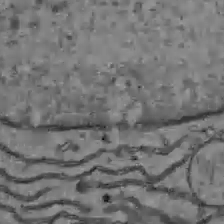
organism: C57BL Mouse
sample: Liver